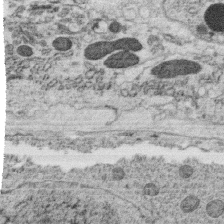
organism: C. elegans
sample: C. elegans oocyte; sperm cells